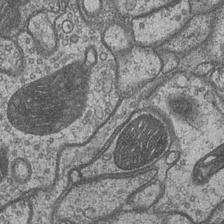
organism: Drosophila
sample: Optic medulla